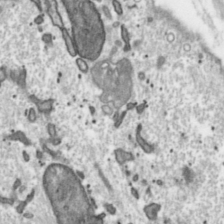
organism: Toxoplasma gondii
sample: Parasites in a vacuole inside a host cell